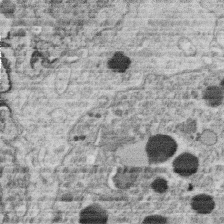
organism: C. elegans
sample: C. elegans oocyte; sperm cells